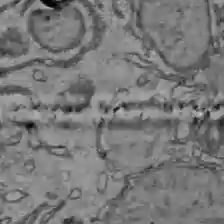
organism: C57BL Mouse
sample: Liver